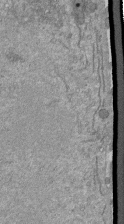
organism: Mouse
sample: ED-1 cell nuclei; centrioles